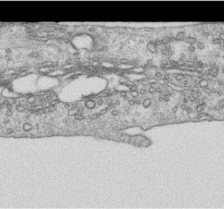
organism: Human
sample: Centriole in RPE cells